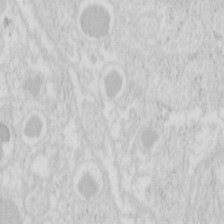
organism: Mouse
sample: Pancreas